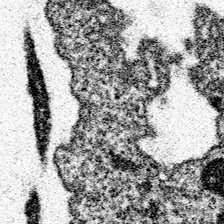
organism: Spongilla lacustris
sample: Neuroid cell